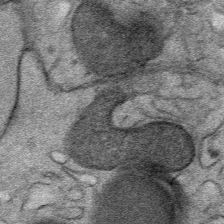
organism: Mouse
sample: Mouse Salivary gland